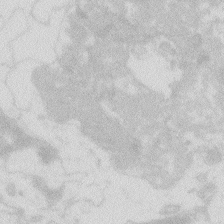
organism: Zebrafish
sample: Macrophage